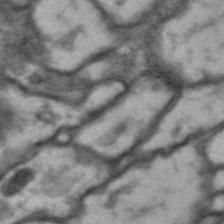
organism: Drosophila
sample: Brain